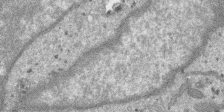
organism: Human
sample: Lung epithelial cells infected with SARS-CoV-2